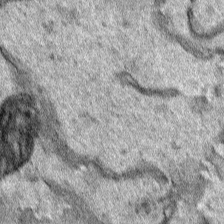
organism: Human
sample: Mitochondria in HCT116 cells